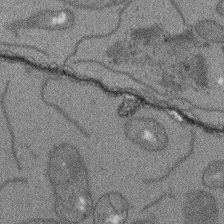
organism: Arabidopsis thaliana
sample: Root tip